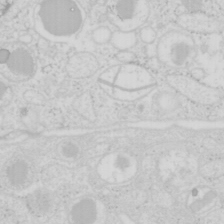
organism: Mouse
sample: Pancreas